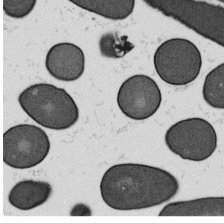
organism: B. subtilis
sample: Bacterial spore